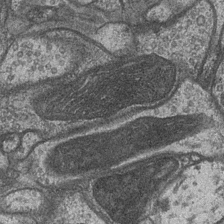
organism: Drosophila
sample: Optic medulla